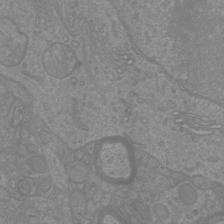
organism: Mouse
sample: Cortical neurons